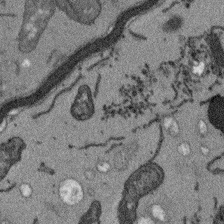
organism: Arabidopsis thaliana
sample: Root tip